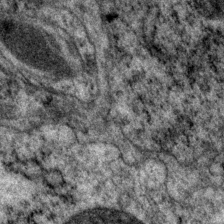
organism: P. pacificus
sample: Pharynx